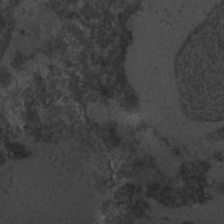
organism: C. elegans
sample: C. elegans embryo